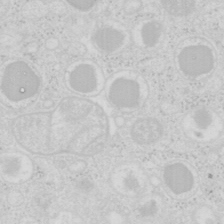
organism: Mouse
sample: Pancreas